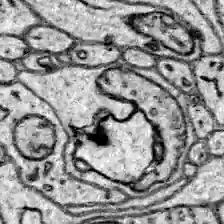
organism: Zebrafish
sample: Brain